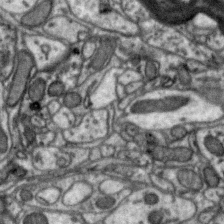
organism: Zebra finch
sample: Brain